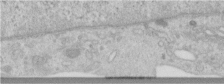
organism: Human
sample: Centriole in RPE cells